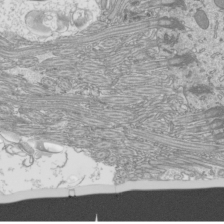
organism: Mouse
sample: Cilia; mouse epididymis